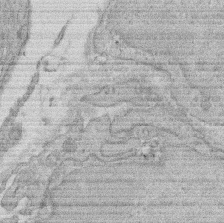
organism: Rat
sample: Salivary granule